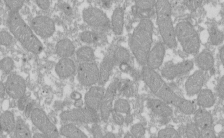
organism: Xenopus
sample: Cilia; centrioles in frog embryo cells